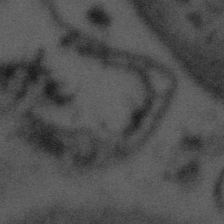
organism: Tuwongella immobilis